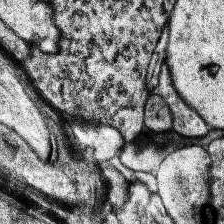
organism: Human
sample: Temporal Lobe